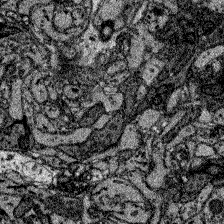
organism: Zebrafish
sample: Larval olfactory bulb